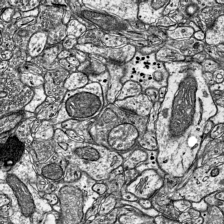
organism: Mouse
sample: Visual Cortex